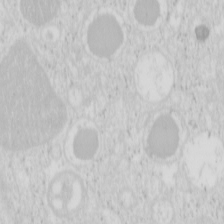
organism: Mouse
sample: Pancreas